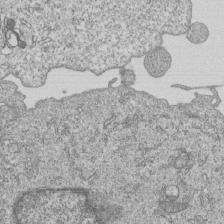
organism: Human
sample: MDA-MB-231 cells